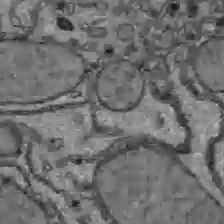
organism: C57BL Mouse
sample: Liver